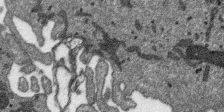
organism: Human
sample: Lung epithelial cells infected with SARS-CoV-2